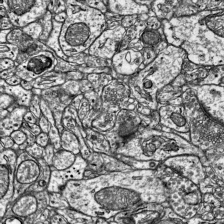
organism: Mouse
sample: Visual Cortex